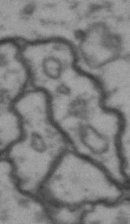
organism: Drosophila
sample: Brain